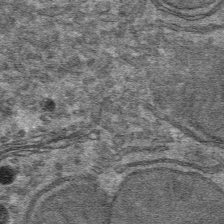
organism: Mouse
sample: Mouse hepatocytes